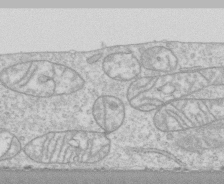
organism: Human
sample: CRL-1474